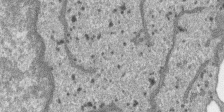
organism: Human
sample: Lung epithelial cells infected with SARS-CoV-2